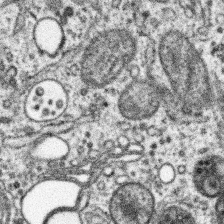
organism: Human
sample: HeLa cells